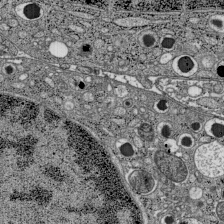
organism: C57BL Mouse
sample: Pancreatic islet